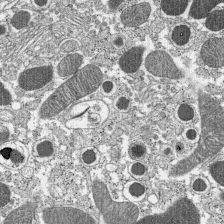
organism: C57BL Mouse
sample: Pancreatic islet